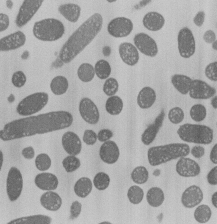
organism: E. coli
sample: Bacterial nucleoid